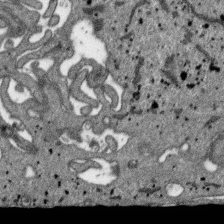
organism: Human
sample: Lung epithelial cells, uninfected (mock) control